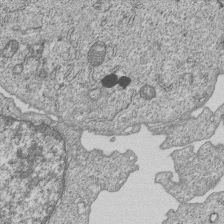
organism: Human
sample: MDA-MB-231 cells